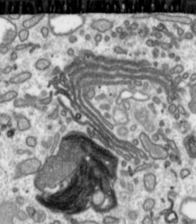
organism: Toxoplasma gondii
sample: Parasites in a vacuole inside a host cell